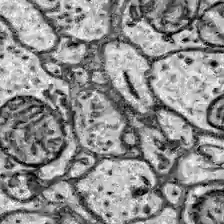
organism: Zebrafish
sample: Brain